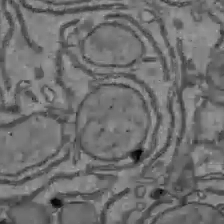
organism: C57BL Mouse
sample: Liver